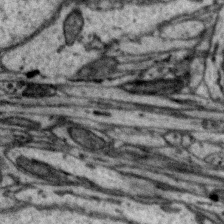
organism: Zebra finch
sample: Brain